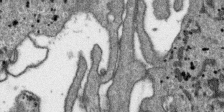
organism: Human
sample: Lung epithelial cells, uninfected (mock) control